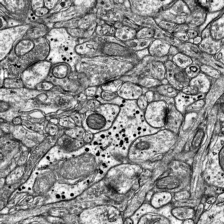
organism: Mouse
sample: Visual Cortex